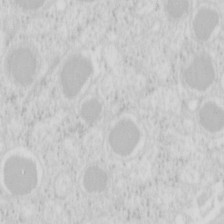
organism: Mouse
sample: Pancreas